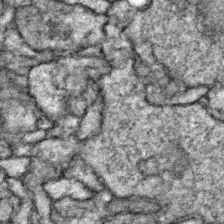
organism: Zebrafish